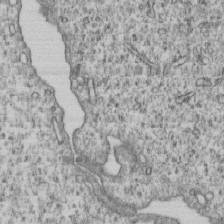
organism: Human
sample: MDA-MB-231 cells